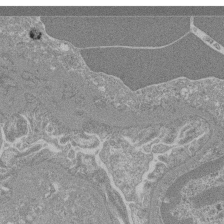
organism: Mouse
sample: Glomerulus